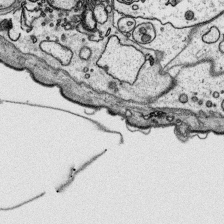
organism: Platynereis dumerilii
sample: Parapodia